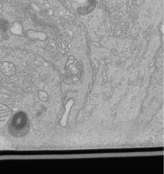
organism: Human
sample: Retinal organoid Rod and Cone cells